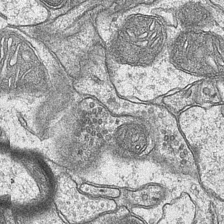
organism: Mouse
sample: CA1 Hippocampus